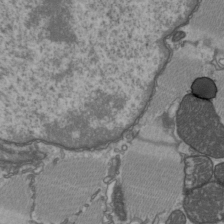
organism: C57BL Mouse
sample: Heart